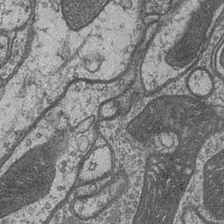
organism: Drosophila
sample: Optic medulla